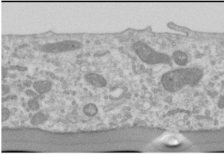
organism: Human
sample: Cilia; basal body in RPE cells